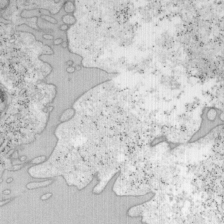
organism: Mouse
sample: OT-I killer T cells with ID8 ovarian cancer cells